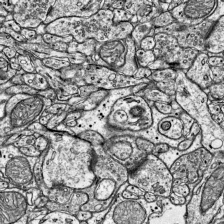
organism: Mouse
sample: Visual Cortex